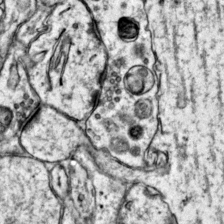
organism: Mouse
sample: Primary visual cortex